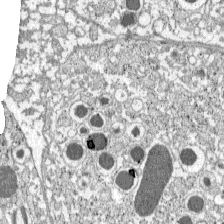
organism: C57BL Mouse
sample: Pancreatic islet